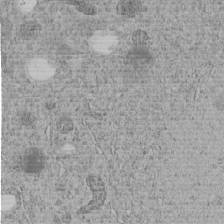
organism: C. elegans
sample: C. elegans embryo early stage